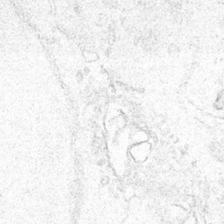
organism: Human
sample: Mitochondria in HCT116 cells